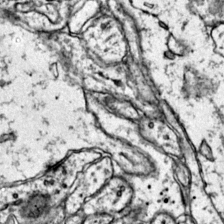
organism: Mouse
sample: Primary visual cortex